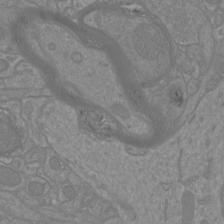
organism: Mouse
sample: Cortical neurons